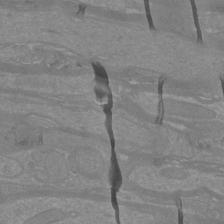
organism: Mouse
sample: Cortical neurons